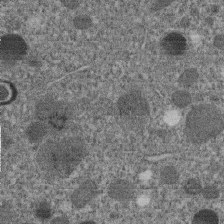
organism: C. elegans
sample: C. elegans embryo early stage